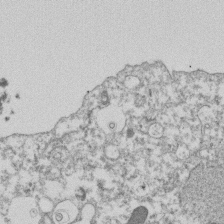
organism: Dictyostelium discoideum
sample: Dictyostelium multivesicular bodies